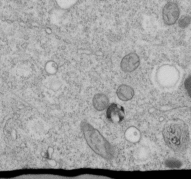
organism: C. elegans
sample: C. elegans embryo early stage